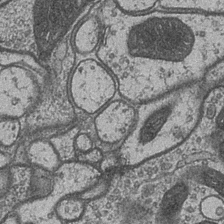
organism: Drosophila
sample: Optic medulla